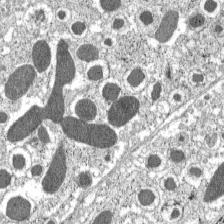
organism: C57BL Mouse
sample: Pancreatic islet